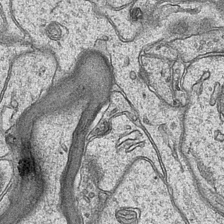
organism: Mouse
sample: CA1 Hippocampus